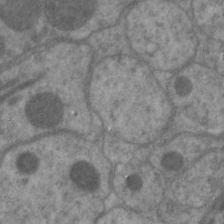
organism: C. elegans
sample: Pharynx